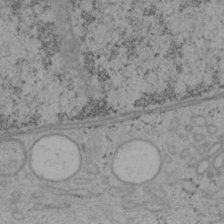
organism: Human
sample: HeLa cells